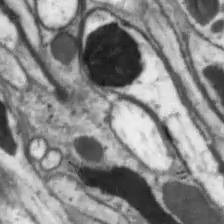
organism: Drosophila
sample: Optic lobe